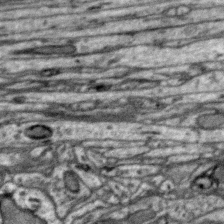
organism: Zebra finch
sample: Brain